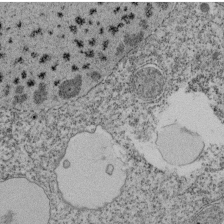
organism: Tetrahymena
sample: Cilia in tetrahymena